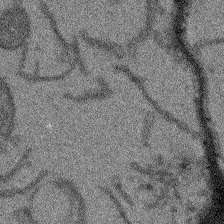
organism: Arabidopsis thaliana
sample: Root tip